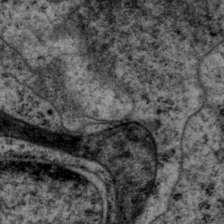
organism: P. pacificus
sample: Pharynx